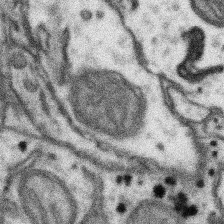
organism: Mouse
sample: Somatosensory cortex neuropil